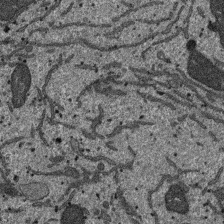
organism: Human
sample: Lung epithelial cells infected with SARS-CoV-2